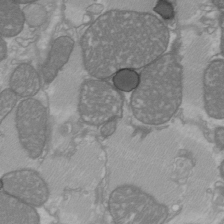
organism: C57BL Mouse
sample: Heart